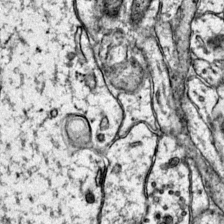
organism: Mouse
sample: Primary visual cortex